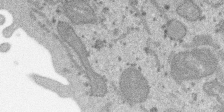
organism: Human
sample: Lung epithelial cells infected with SARS-CoV-2